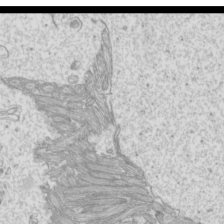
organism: Mouse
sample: Cilia; mouse epididymis